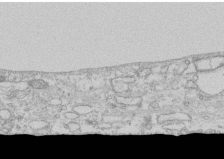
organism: Human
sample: CRL-1474